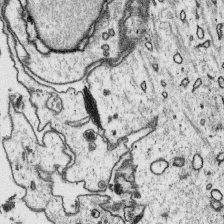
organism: Platynereis dumerilii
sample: Parapodia